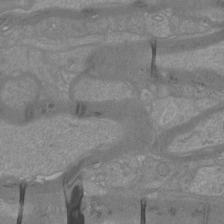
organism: Mouse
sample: Cortical neurons